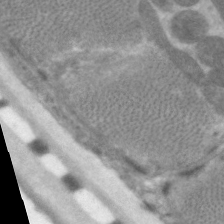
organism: C. elegans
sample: Pharynx